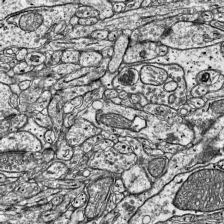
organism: Mouse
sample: Visual Cortex